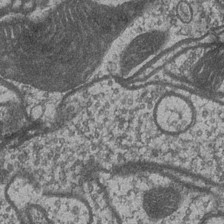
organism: Drosophila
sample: Optic medulla